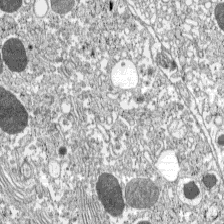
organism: C57BL Mouse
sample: Pancreatic islet